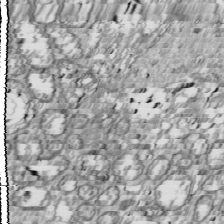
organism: Drosophila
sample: Cell division; meiosis; drosophila spermatocytes